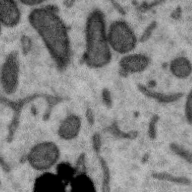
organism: Zebra finch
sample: Brain